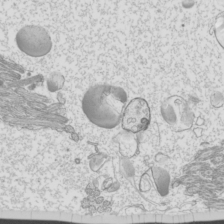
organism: Mouse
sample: Cilia; mouse epididymis